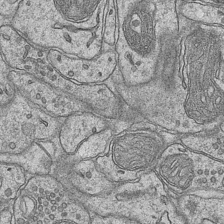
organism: Mouse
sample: CA1 Hippocampus